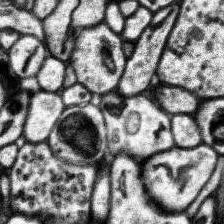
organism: Human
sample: Temporal Lobe